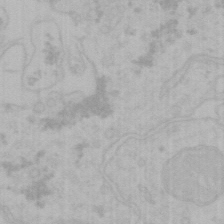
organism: Mouse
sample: Choroid plexus